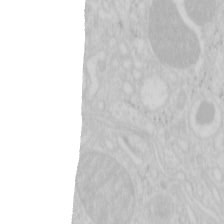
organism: Mouse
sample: Pancreas